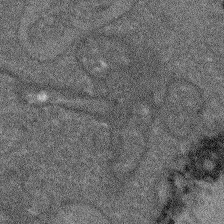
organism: Arabidopsis thaliana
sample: Root tip